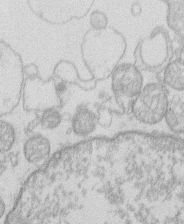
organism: Human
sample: Macrophage cells